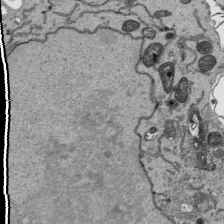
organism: Human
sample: Mitochondria in HCT116 cells